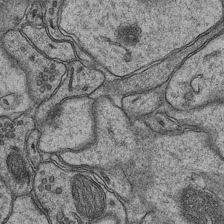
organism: Mouse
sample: CA1 Hippocampus